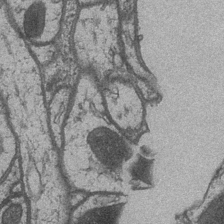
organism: Drosophila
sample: Optic medulla